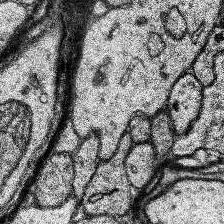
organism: Human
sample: Temporal Lobe